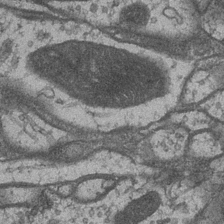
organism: Drosophila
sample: Optic medulla